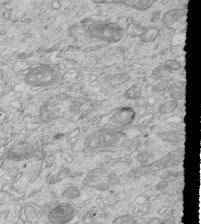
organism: Mouse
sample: Multiciliated cells